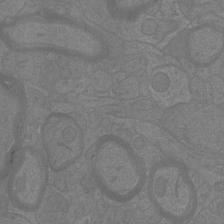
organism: Mouse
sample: Cortical neurons